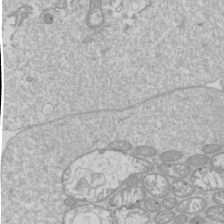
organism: Drosophila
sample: Cell division; meiosis; drosophila spermatocytes